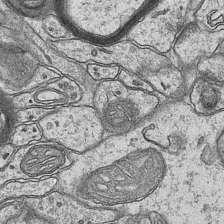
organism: Mouse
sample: CA1 Hippocampus